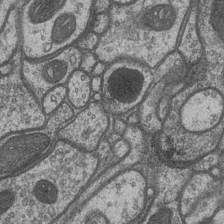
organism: Drosophila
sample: Optic medulla